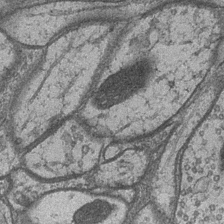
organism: Drosophila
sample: Optic medulla